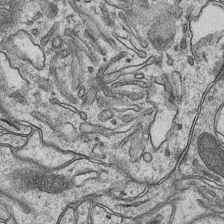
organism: Mouse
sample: CA1 Hippocampus